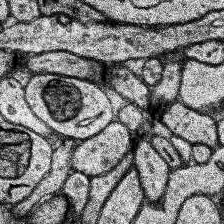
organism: Human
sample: Temporal Lobe